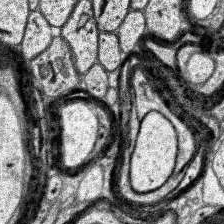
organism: Human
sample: Temporal Lobe